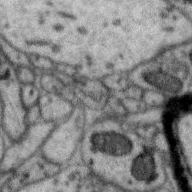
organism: Zebra finch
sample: Brain